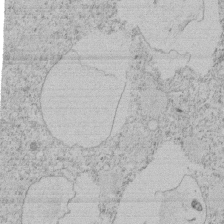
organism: Tetrahymena